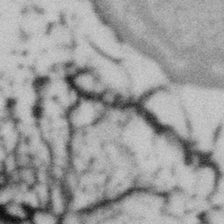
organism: Gemmata obscuriglobus